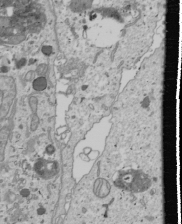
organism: Human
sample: Mitochondria in U2OS cells